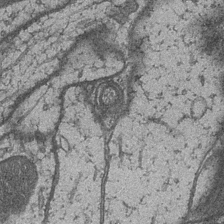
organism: Drosophila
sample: Optic medulla